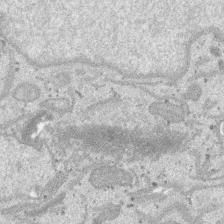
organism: Human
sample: Lung epithelial cells infected with SARS-CoV-2